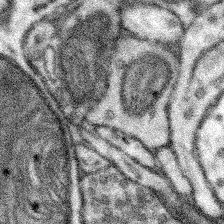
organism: Mouse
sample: Somatosensory cortex neuropil